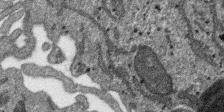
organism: Human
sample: Lung epithelial cells infected with SARS-CoV-2